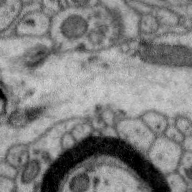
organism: Zebra finch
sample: Brain